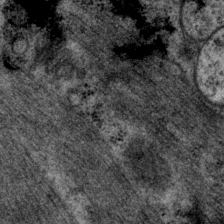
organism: P. pacificus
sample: Pharynx